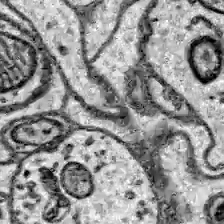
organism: Zebrafish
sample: Brain